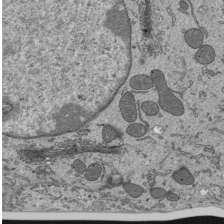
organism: Mouse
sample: Mouse epididymis efferent ductule cilia